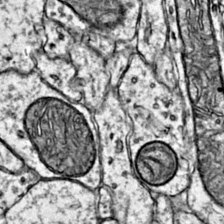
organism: Mouse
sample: Primary visual cortex